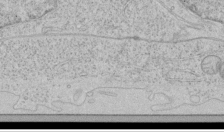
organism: Human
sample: Mitochondria in HCT116 cells